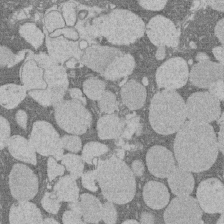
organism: Rat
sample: Salivary granule